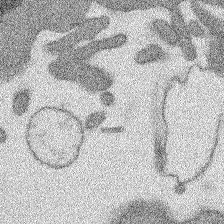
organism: Human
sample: HeLa cells